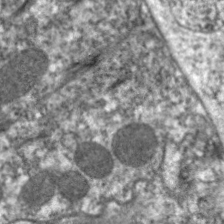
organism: C. elegans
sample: Pharynx